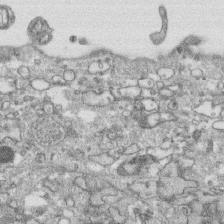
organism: Human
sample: CRL-1474